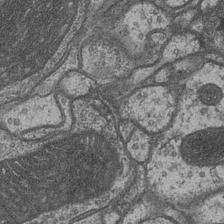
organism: Drosophila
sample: Optic medulla